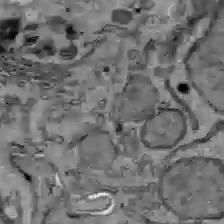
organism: C57BL Mouse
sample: Liver